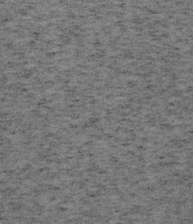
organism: Mouse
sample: OT-I killer T cells with ID8 ovarian cancer cells